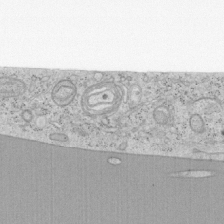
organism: Human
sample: HeLa cells